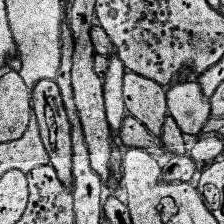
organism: Human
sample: Temporal Lobe